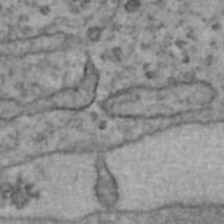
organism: Human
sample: Blood